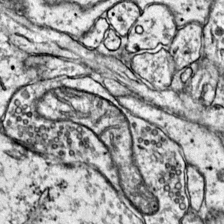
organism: Mouse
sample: Primary visual cortex